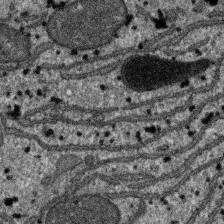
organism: Human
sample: Lung epithelial cells infected with SARS-CoV-2